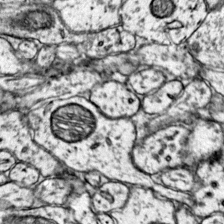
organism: Mouse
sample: Primary visual cortex